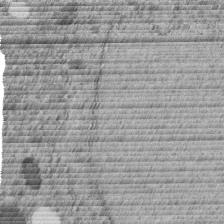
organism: C. elegans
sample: C. elegans embryo early stage